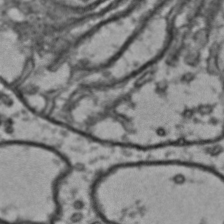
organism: Drosophila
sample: Brain